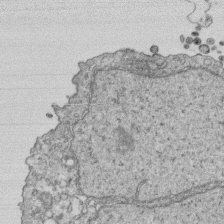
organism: Human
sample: HeLa cell HIV synapse